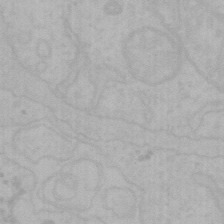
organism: Mouse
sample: Choroid plexus